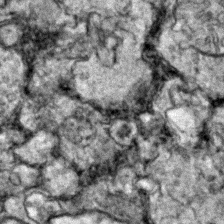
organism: Zebrafish